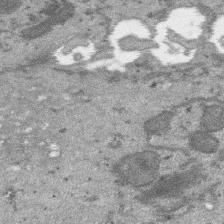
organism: Human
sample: Lung epithelial cells infected with SARS-CoV-2